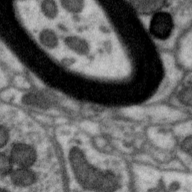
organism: Zebra finch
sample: Brain